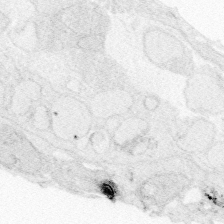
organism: Zebrafish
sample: Whole-Brain